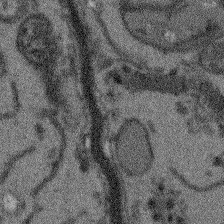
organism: Arabidopsis thaliana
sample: Root tip